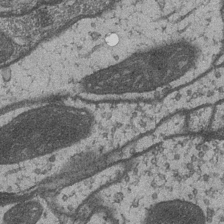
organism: Drosophila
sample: Optic medulla